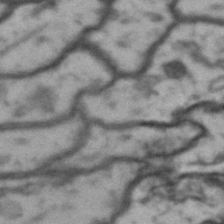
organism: Drosophila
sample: Brain